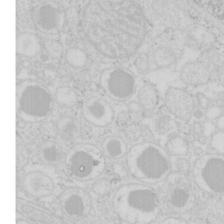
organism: Mouse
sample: Pancreas